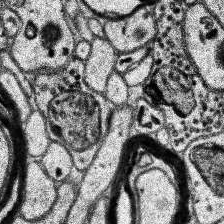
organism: Human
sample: Temporal Lobe